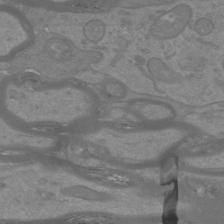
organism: Mouse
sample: Cortical neurons